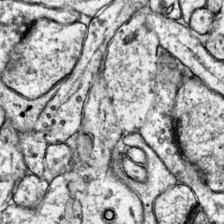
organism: Mouse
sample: Primary visual cortex